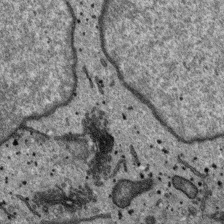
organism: Human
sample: Lung epithelial cells, uninfected (mock) control